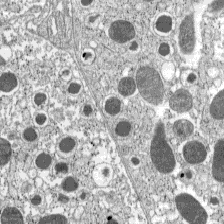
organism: C57BL Mouse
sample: Pancreatic islet